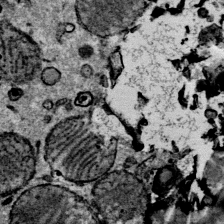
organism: Mouse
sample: Mouse Salivary gland